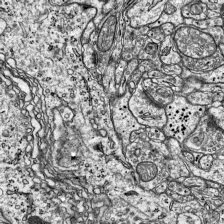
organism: Mouse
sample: Visual Cortex